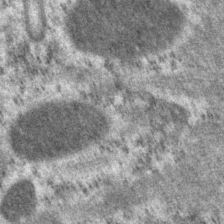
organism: P. pacificus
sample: Pharynx